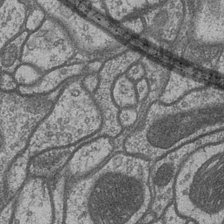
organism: Drosophila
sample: Optic medulla